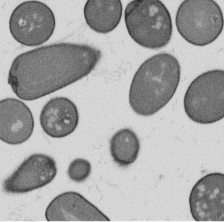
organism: B. subtilis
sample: Bacterial spore